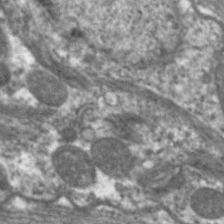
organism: C. elegans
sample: Pharynx